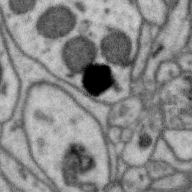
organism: Zebra finch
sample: Brain